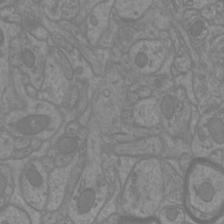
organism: Mouse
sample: Cortical neurons